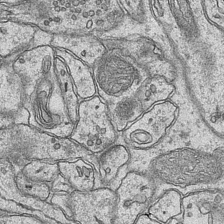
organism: Mouse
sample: CA1 Hippocampus